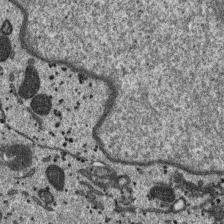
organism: Human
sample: Lung epithelial cells infected with SARS-CoV-2